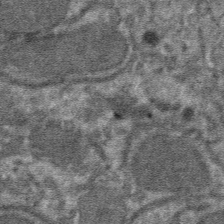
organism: Mouse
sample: Mouse hepatocytes